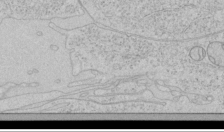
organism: Human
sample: Mitochondria in HCT116 cells